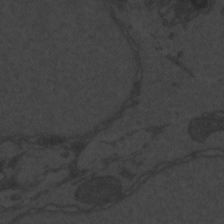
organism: Zebrafish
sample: Macrophage infected with Toxoplasma gondii